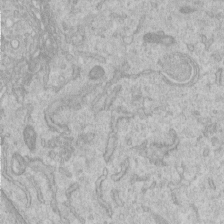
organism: Human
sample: Centriole in RPE cells